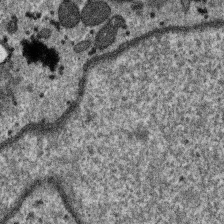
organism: Human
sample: Lung epithelial cells infected with SARS-CoV-2